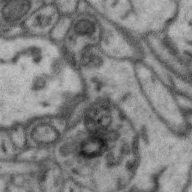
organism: Zebra finch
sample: Brain